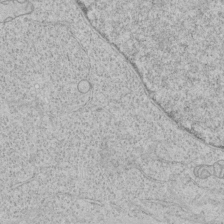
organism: Human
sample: Mitochondria in HCT116 cells